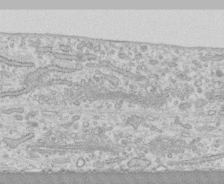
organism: Human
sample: CRL-1474